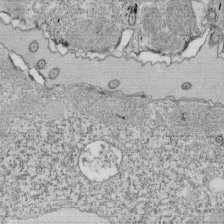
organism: Tetrahymena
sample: Cilia in tetrahymena